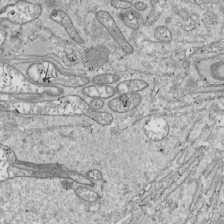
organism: Drosophila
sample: Cell division; meiosis; drosophila spermatocytes